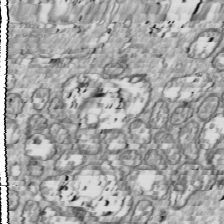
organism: Drosophila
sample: Cell division; meiosis; drosophila spermatocytes